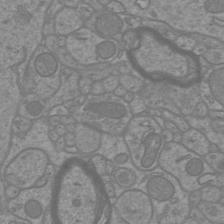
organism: Mouse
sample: Cortical neurons